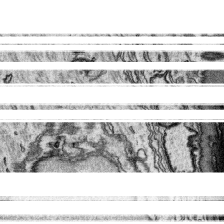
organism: Platynereis dumerilii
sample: Parapodia